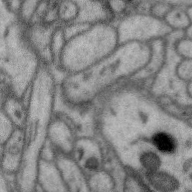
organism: Zebra finch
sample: Brain